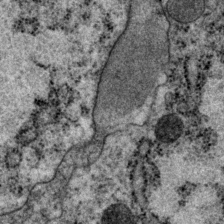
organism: P. pacificus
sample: Pharynx